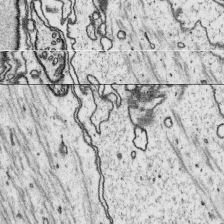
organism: Platynereis dumerilii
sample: Parapodia